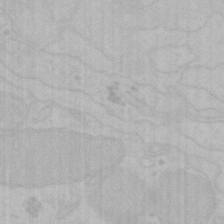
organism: Mouse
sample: Choroid plexus